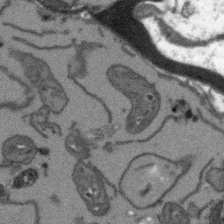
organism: Arabidopsis thaliana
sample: Root tip